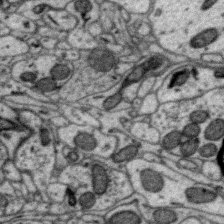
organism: Zebra finch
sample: Brain